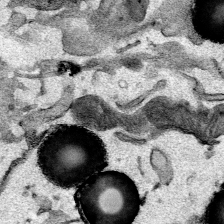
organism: Mouse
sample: Cancer cell death in ED-1 cells